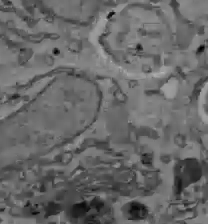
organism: C57BL Mouse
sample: Liver